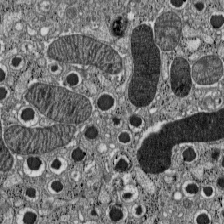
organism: C57BL Mouse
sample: Pancreatic islet